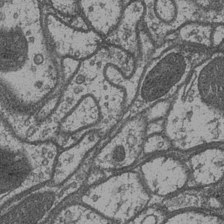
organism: Drosophila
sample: Optic medulla